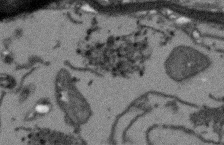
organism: Arabidopsis thaliana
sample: Root tip